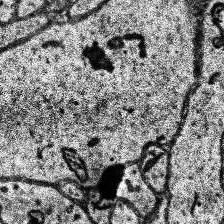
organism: Human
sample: Temporal Lobe